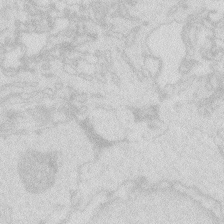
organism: Zebrafish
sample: Macrophage